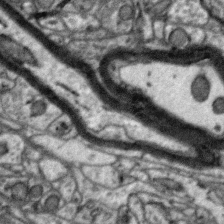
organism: Zebra finch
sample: Brain